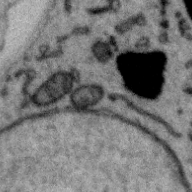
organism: Zebra finch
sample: Brain